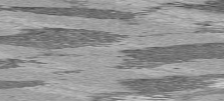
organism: C57BL Mouse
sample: Heart